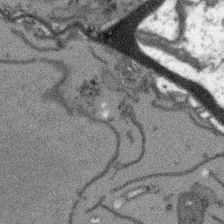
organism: Arabidopsis thaliana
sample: Root tip